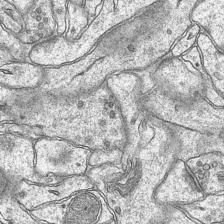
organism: Mouse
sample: CA1 Hippocampus